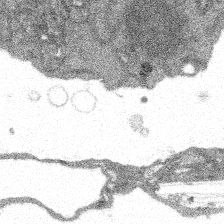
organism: Spongilla lacustris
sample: Multiple